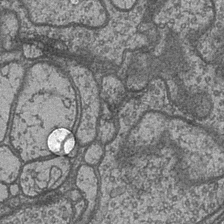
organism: Drosophila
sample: Optic medulla